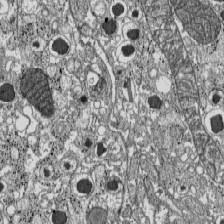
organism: C57BL Mouse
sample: Pancreatic islet